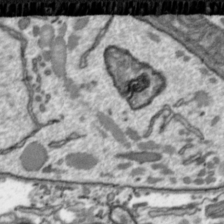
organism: Toxoplasma gondii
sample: Parasites in a vacuole inside a host cell